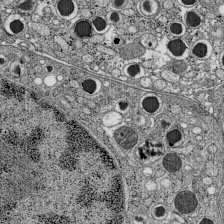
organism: C57BL Mouse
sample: Pancreatic islet